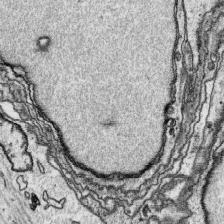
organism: Platynereis dumerilii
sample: Parapodia